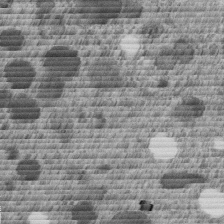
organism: C. elegans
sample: C. elegans embryo early stage